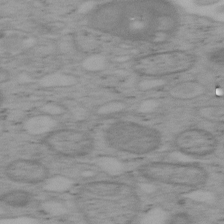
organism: Mouse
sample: OT-I killer T cells with ID8 ovarian cancer cells